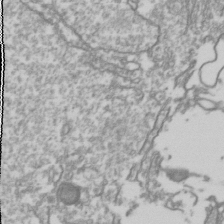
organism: Drosophila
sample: Cell division; meiosis; drosophila spermatocytes